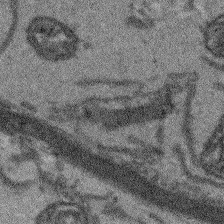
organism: Arabidopsis thaliana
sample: Root tip